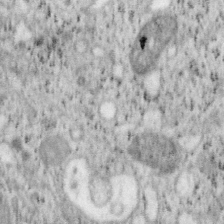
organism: Mouse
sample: OT-I killer T cells with ID8 ovarian cancer cells